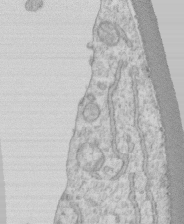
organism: Human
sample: CRL-1474